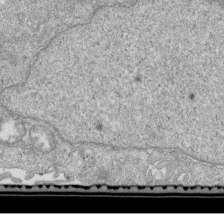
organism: Human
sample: HeLa cell HIV synapse